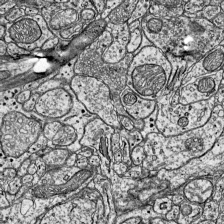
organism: Mouse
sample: Visual Cortex